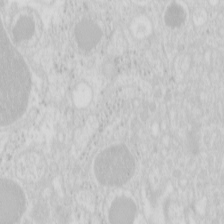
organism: Mouse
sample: Pancreas